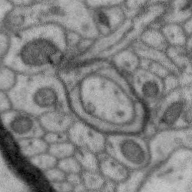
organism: Zebra finch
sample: Brain